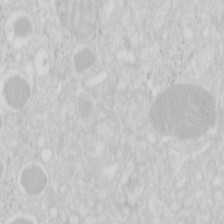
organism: Mouse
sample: Pancreas